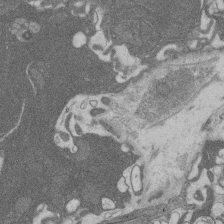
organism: Rat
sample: Salivary granule